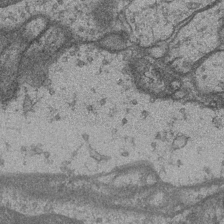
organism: Drosophila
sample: Optic medulla